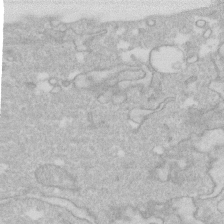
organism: Human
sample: Fibroblast cells